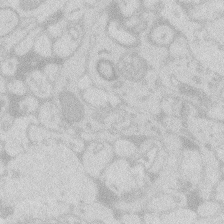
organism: Zebrafish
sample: Macrophage